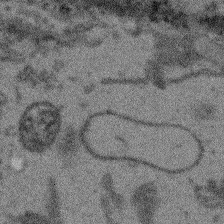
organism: Arabidopsis thaliana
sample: Root tip